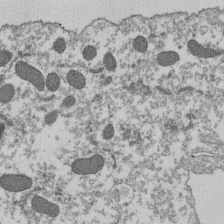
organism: Dictyostelium discoideum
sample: Dictyostelium multivesicular bodies